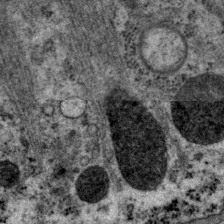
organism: P. pacificus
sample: Pharynx